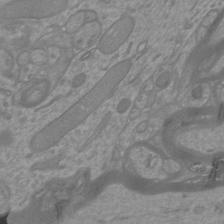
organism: Mouse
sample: Cortical neurons